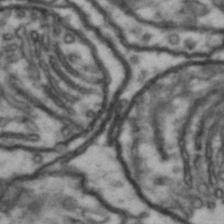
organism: Drosophila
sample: Brain